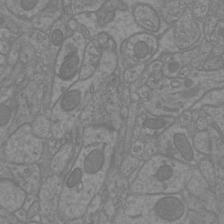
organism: Mouse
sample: Cortical neurons